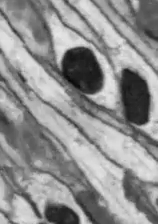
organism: Drosophila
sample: Optic lobe